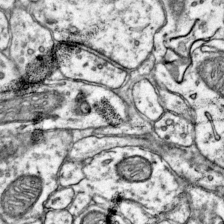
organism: Mouse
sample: Primary visual cortex